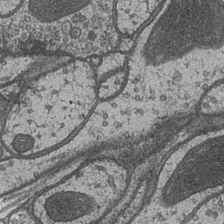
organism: Drosophila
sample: Optic medulla